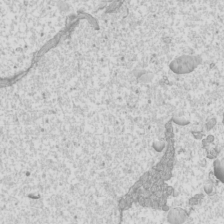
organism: Mouse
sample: Cilia; mouse epididymis